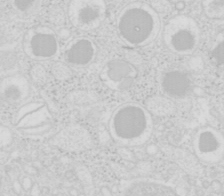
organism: Mouse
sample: Pancreas